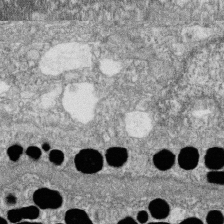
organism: Zebrafish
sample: Cilia; retinal pigment epithelium